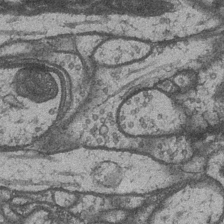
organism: Drosophila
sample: Optic medulla